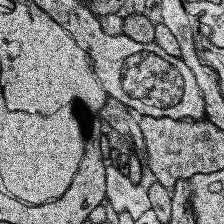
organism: Human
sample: Temporal Lobe